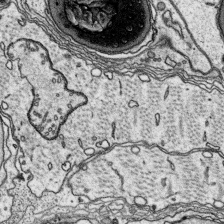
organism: Platynereis dumerilii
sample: Parapodia